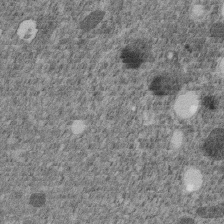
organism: C. elegans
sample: C. elegans embryo early stage